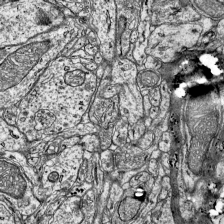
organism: Mouse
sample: Visual Cortex